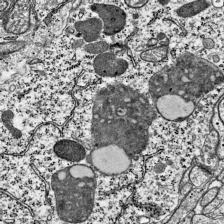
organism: Mouse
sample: Visual Cortex